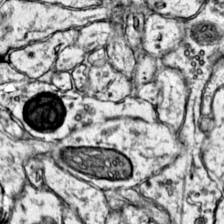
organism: Mouse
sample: Primary visual cortex